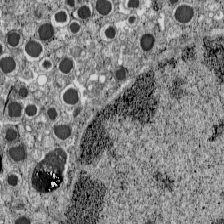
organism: C57BL Mouse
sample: Pancreatic islet